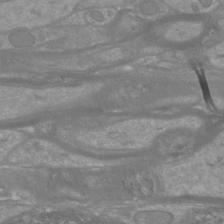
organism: Mouse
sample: Cortical neurons